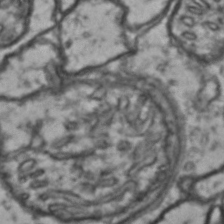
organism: Drosophila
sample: Brain